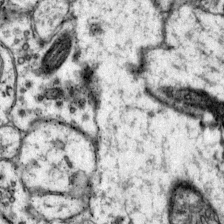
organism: Mouse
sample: Primary visual cortex